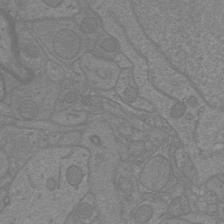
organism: Mouse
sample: Cortical neurons